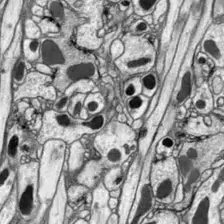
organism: Drosophila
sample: Optic lobe